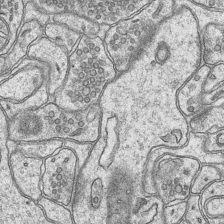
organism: Mouse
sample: CA1 Hippocampus